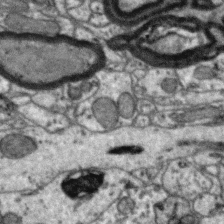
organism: Zebra finch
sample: Brain